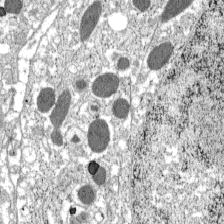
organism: C57BL Mouse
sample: Pancreatic islet